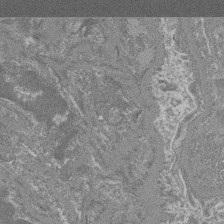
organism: Mouse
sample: Glomerulus